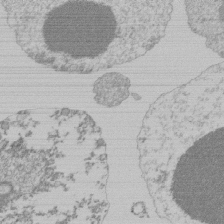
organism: Mouse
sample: Activated Pmel transgenic CD8+ T Cells